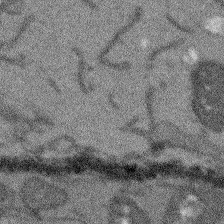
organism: Arabidopsis thaliana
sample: Root tip